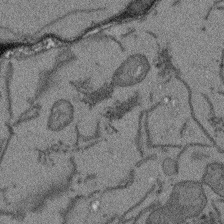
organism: Arabidopsis thaliana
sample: Root tip